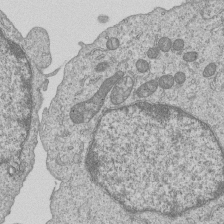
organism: Human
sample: MDA-MB-231 cells